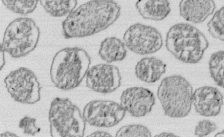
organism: E. coli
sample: Bacterial nucleoid